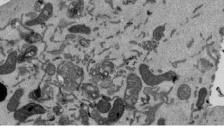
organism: Mouse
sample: ED-1 cell nuclei; centrioles